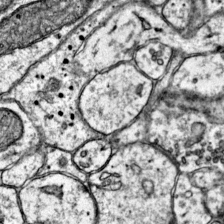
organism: Mouse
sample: Primary visual cortex